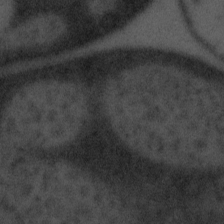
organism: Tuwongella immobilis